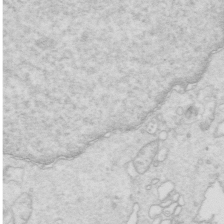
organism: Mouse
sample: Multiciliated cells